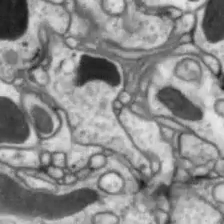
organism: Drosophila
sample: Optic lobe